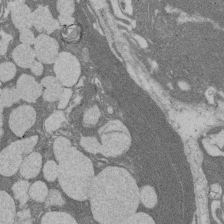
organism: Rat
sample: Salivary granule